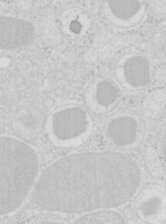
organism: Mouse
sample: Pancreas